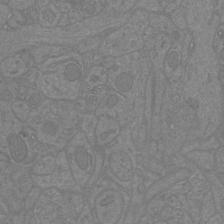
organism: Mouse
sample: Cortical neurons